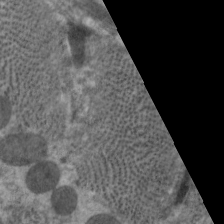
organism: C. elegans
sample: Pharynx